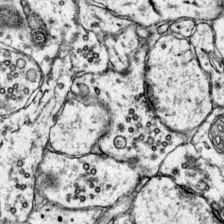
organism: Mouse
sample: Primary visual cortex